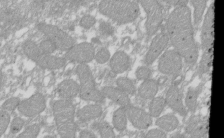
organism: Xenopus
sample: Cilia; centrioles in frog embryo cells